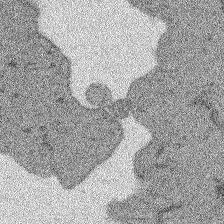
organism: Human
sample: HeLa cells